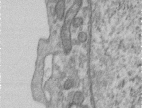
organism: Human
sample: Centriole in RPE cells